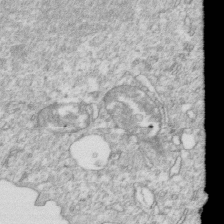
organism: Mouse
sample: Activated OT-1 CD8+ T cells